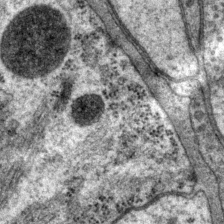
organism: P. pacificus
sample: Pharynx